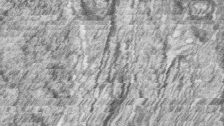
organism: Zebrafish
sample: synaptic ribbons in rod cells and cone cells